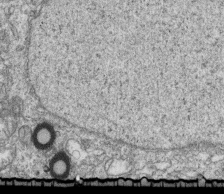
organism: Human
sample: HeLa cell HIV synapse